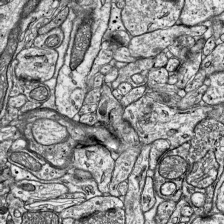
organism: Mouse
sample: Visual Cortex